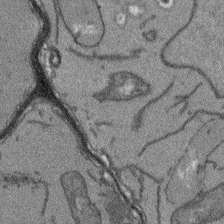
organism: Arabidopsis thaliana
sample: Root tip